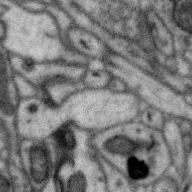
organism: Zebra finch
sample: Brain